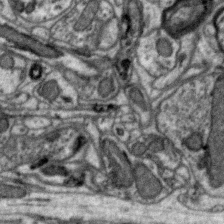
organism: Zebra finch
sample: Brain